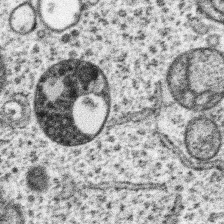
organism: Human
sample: HeLa cells